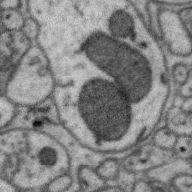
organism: Zebra finch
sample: Brain